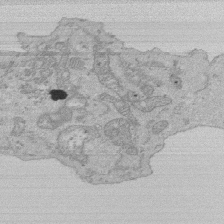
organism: Human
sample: Activated Jurkat CD4+ T cells